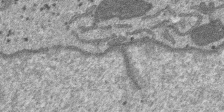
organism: Human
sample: Lung epithelial cells infected with SARS-CoV-2